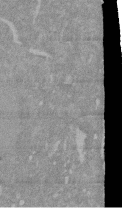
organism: Mouse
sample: ED-1 cell nuclei; centrioles